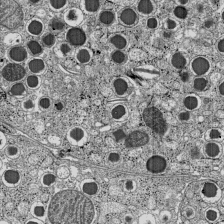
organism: C57BL Mouse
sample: Pancreatic islet